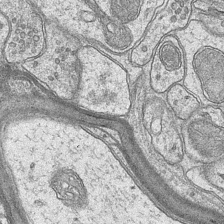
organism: Mouse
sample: CA1 Hippocampus